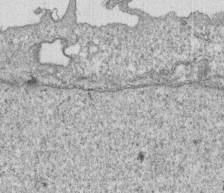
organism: Human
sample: HeLa cell HIV synapse